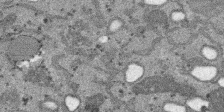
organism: Human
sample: Lung epithelial cells infected with SARS-CoV-2